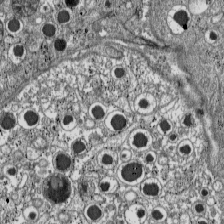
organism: C57BL Mouse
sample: Pancreatic islet